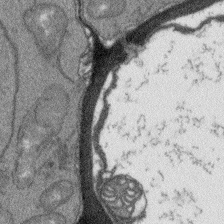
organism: Arabidopsis thaliana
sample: Root tip